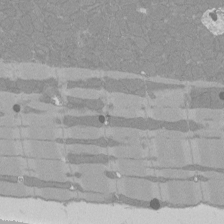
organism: Rat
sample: Left ventricle